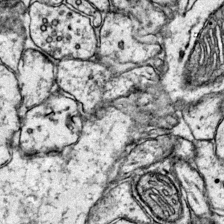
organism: Mouse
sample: Primary visual cortex